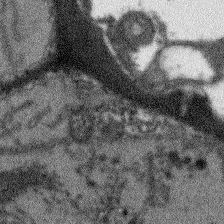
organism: Arabidopsis thaliana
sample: Root tip